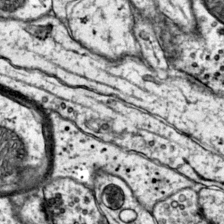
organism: Mouse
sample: Primary visual cortex